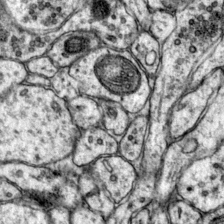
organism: Mouse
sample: Primary visual cortex